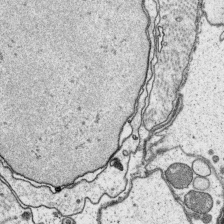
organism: Platynereis dumerilii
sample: Parapodia